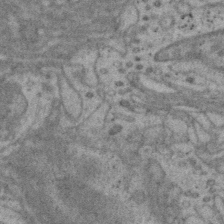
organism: Human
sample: HeLa cells